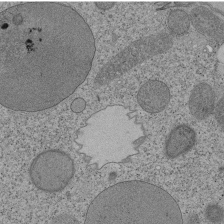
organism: Tetrahymena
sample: Cilia in tetrahymena